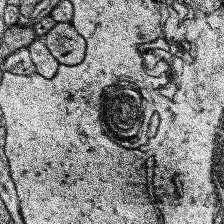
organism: Human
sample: Temporal Lobe